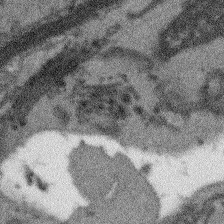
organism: Arabidopsis thaliana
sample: Root tip